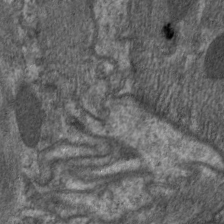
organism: C. elegans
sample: Pharynx